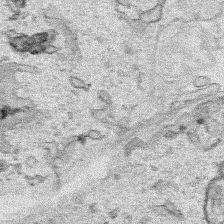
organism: Human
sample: Mitochondria in HCT116 cells